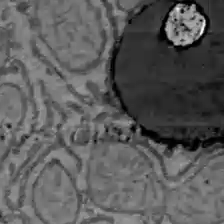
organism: C57BL Mouse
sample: Liver